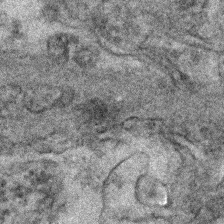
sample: Kidney